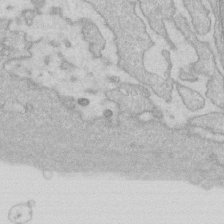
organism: Human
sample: Fibroblast cells